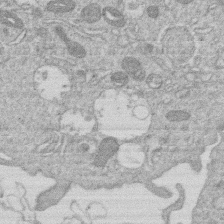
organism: Human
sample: Macrophage cells